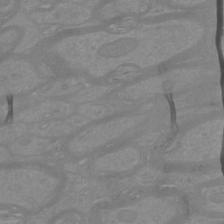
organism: Mouse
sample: Cortical neurons